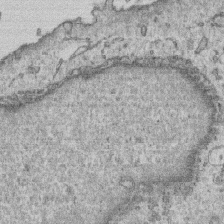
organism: Human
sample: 1205lu cells